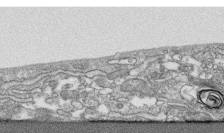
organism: Human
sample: CRL-1474